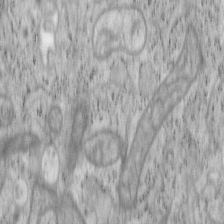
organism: Human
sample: HeLa cells